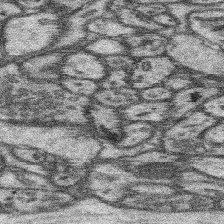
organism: Mouse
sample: Somatosensory cortex neuropil